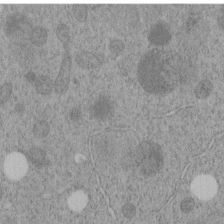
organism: C. elegans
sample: C. elegans embryo early stage